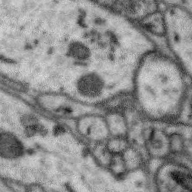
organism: Zebra finch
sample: Brain